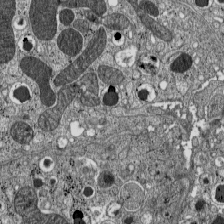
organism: C57BL Mouse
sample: Pancreatic islet